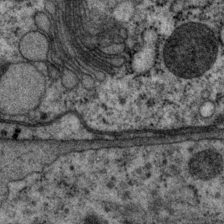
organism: P. pacificus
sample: Pharynx